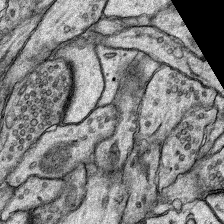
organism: Rat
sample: Hippocampus